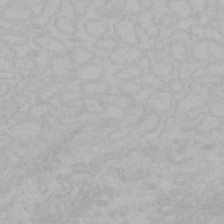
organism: Mouse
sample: Choroid plexus